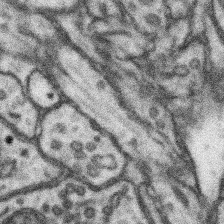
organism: Mouse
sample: Somatosensory cortex neuropil